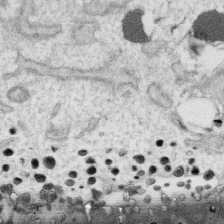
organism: Human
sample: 1205lu cells